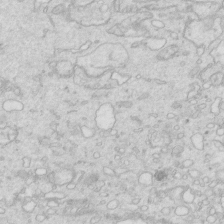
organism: Mouse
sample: Multiciliated cells